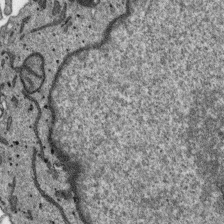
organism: Human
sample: Lung epithelial cells, uninfected (mock) control